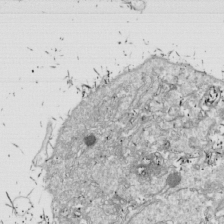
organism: Drosophila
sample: Cell division; meiosis; drosophila spermatocytes